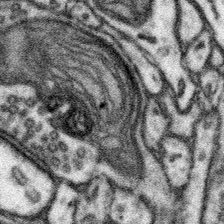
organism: Mouse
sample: Somatosensory cortex neuropil